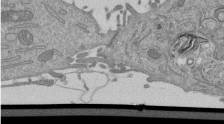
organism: Mouse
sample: ED-1 cell nuclei; centrioles